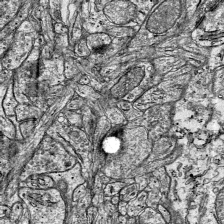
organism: Mouse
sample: Visual Cortex